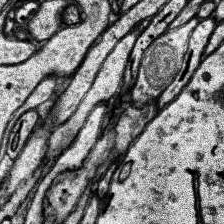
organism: Human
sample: Temporal Lobe